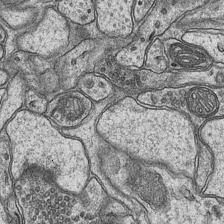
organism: Mouse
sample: CA1 Hippocampus